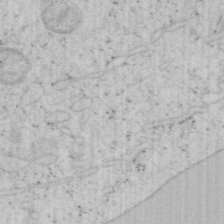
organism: Human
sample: HeLa cells